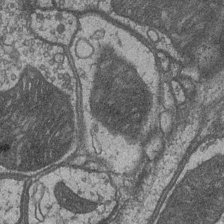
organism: Drosophila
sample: Optic medulla